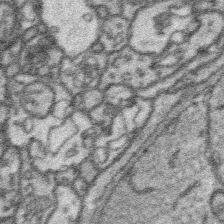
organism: Platynereis dumerilii